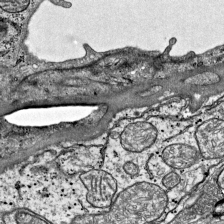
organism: Mouse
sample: Visual Cortex